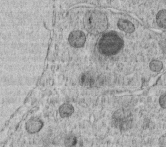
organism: C. elegans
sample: C. elegans embryo early stage